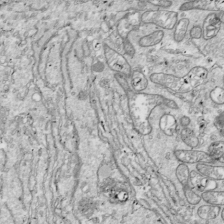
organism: Drosophila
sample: Cell division; meiosis; drosophila spermatocytes